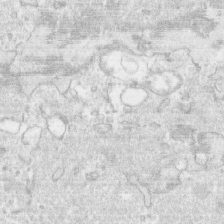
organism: Human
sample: CRL-1474